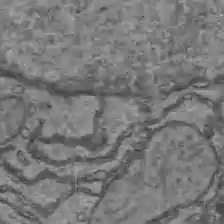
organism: C57BL Mouse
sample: Liver